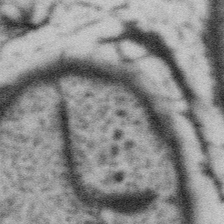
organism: Gemmata obscuriglobus